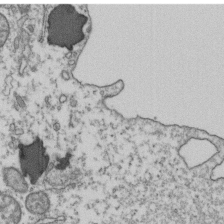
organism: Human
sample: Activated Jurkat CD4+ T cells